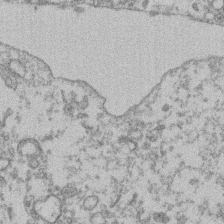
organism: Mouse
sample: T cell stromal cell synapse